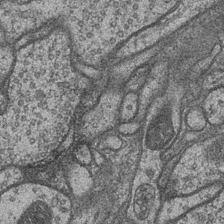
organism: Drosophila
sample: Optic medulla